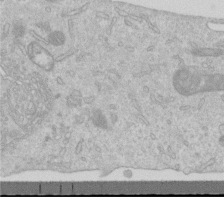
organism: Human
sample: Centriole in RPE cells